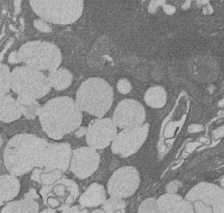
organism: Rat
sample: Salivary granule